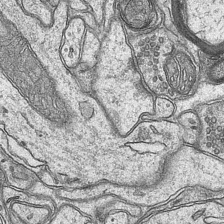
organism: Mouse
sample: CA1 Hippocampus